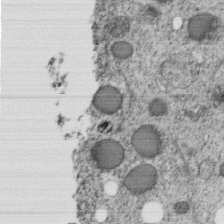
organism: C. elegans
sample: C. elegans embryo early stage